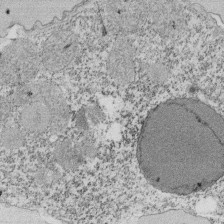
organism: Tetrahymena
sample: Cilia in tetrahymena